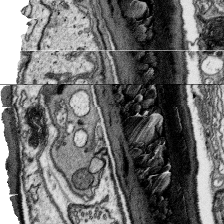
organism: Platynereis dumerilii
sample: Parapodia